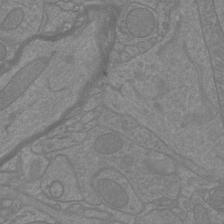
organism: Mouse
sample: Cortical neurons